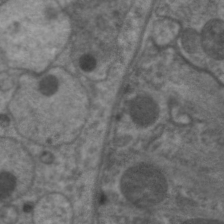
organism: C. elegans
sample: Pharynx